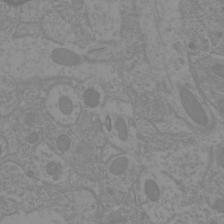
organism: Mouse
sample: Cortical neurons